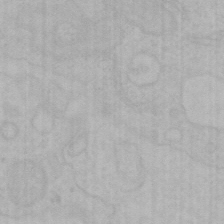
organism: Mouse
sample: Choroid plexus